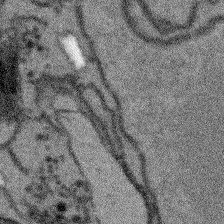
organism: Arabidopsis thaliana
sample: Root tip